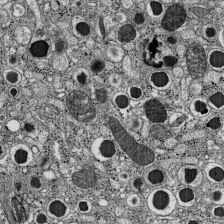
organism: C57BL Mouse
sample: Pancreatic islet